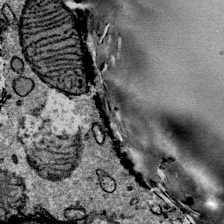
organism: Mouse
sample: Mouse Salivary gland